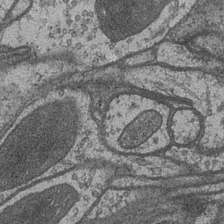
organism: Drosophila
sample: Optic medulla